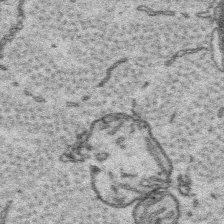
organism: Platynereis dumerilii